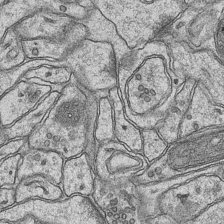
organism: Mouse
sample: CA1 Hippocampus